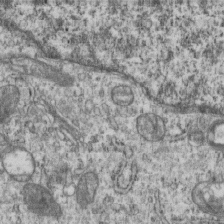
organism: Human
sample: MDA-MB-231 cells